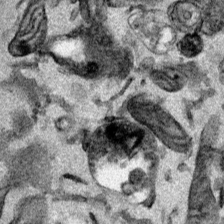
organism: Mouse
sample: Cancer cell death in ED-1 cells